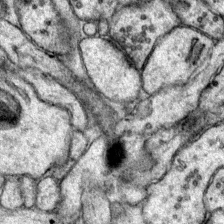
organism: Mouse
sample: Primary visual cortex